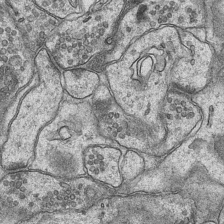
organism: Mouse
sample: CA1 Hippocampus